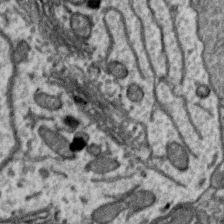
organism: Zebra finch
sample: Brain